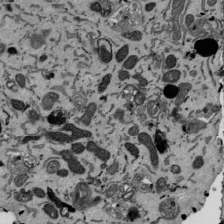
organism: Mouse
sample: ED-1 cell nuclei; centrioles